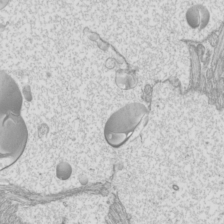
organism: Mouse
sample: Cilia; mouse epididymis